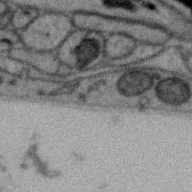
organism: Zebra finch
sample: Brain